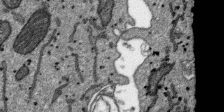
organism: Human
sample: Lung epithelial cells, uninfected (mock) control